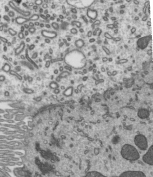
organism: Mouse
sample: Mouse epididymis efferent ductule cilia